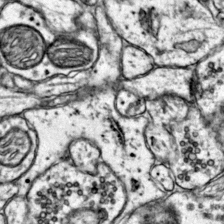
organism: Mouse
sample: Primary visual cortex